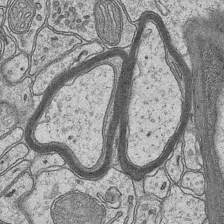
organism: Mouse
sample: CA1 Hippocampus